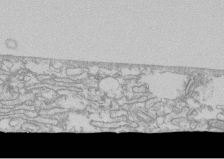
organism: Human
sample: CRL-1474